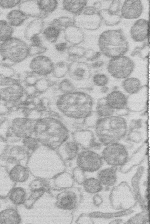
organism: Human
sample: Macrophage cells